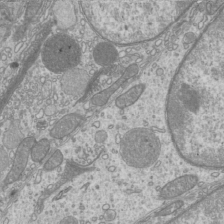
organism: Mouse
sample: Cilia; mouse epididymis